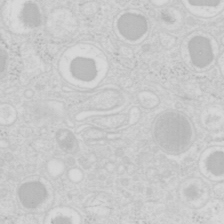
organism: Mouse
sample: Pancreas